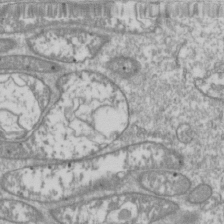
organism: Drosophila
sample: Cell division; meiosis; drosophila spermatocytes